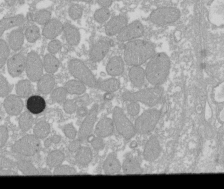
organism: Xenopus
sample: Cilia; centrioles in frog embryo cells